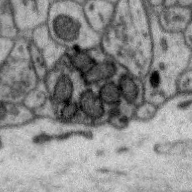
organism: Zebra finch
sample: Brain